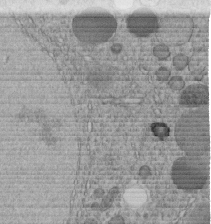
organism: C. elegans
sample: C. elegans embryo early stage